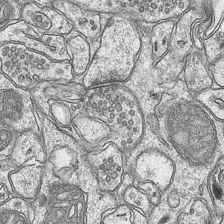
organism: Mouse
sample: CA1 Hippocampus